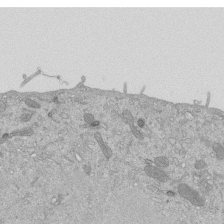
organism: Mouse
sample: ED-1 cell nuclei; centrioles